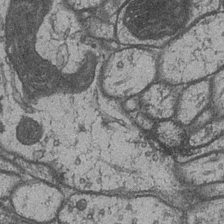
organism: Drosophila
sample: Optic medulla